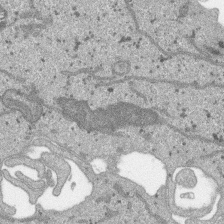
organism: Human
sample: Lung epithelial cells infected with SARS-CoV-2